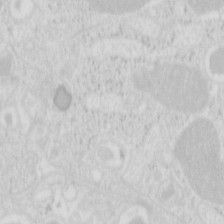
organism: Mouse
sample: Pancreas